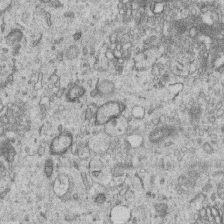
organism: Human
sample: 1205lu cells